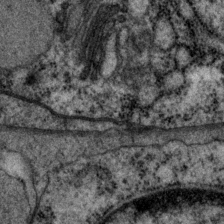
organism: P. pacificus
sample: Pharynx